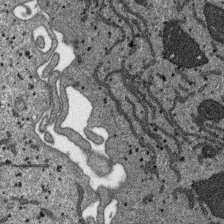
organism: Human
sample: Lung epithelial cells infected with SARS-CoV-2